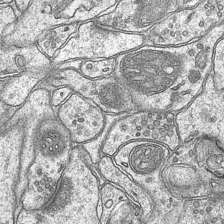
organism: Mouse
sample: CA1 Hippocampus